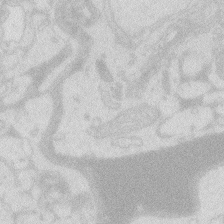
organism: Zebrafish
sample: Macrophage